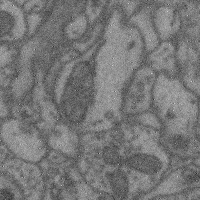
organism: Mouse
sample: Cerebral cortex